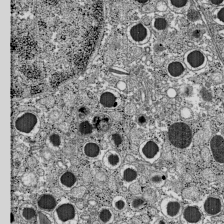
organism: C57BL Mouse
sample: Pancreatic islet